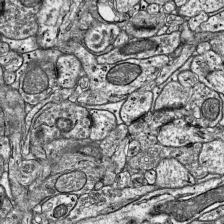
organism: Mouse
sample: Visual Cortex